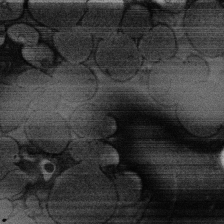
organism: Rat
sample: Salivary granule